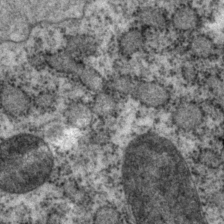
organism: P. pacificus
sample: Pharynx